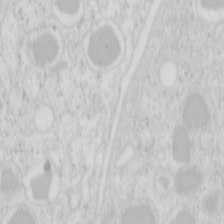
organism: Mouse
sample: Pancreas